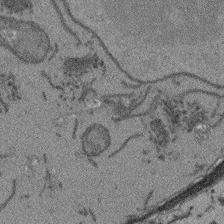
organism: Arabidopsis thaliana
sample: Root tip